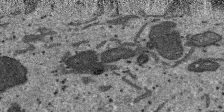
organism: Human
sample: Lung epithelial cells infected with SARS-CoV-2